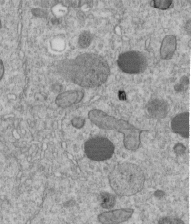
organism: C. elegans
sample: C. elegans embryo early stage